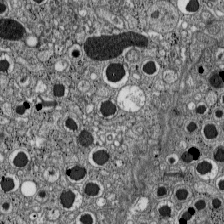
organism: C57BL Mouse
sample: Pancreatic islet